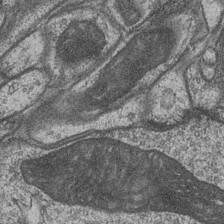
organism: Drosophila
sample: Optic medulla